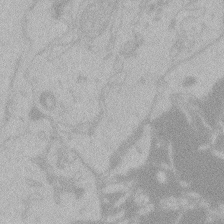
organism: Zebrafish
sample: Macrophage infected with Toxoplasma gondii